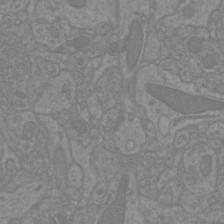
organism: Mouse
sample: Cortical neurons